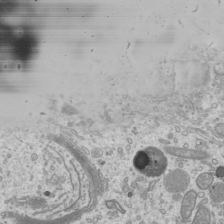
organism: Mouse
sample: Cilia; mouse epididymis